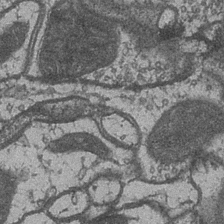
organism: Drosophila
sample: Optic medulla